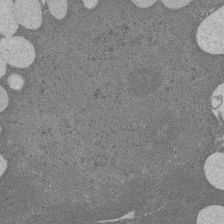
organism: Rat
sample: Salivary granule